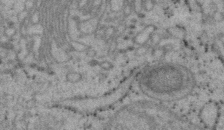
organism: Human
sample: HeLa cells